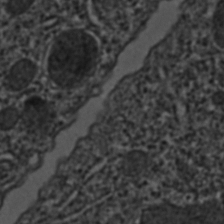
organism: C. elegans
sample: C. elegans embryo